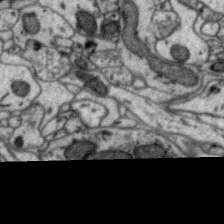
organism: Zebra finch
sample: Brain